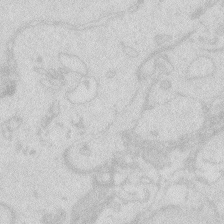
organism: Zebrafish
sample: Macrophage